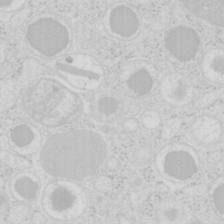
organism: Mouse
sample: Pancreas